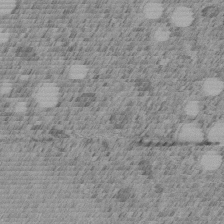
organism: C. elegans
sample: C. elegans embryo early stage